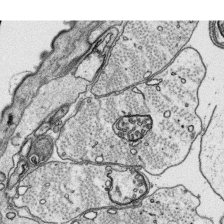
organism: Platynereis dumerilii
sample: Parapodia